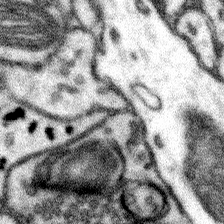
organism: Mouse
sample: Somatosensory cortex neuropil